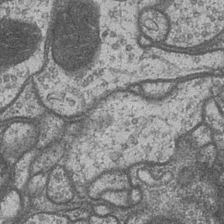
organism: Drosophila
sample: Optic medulla